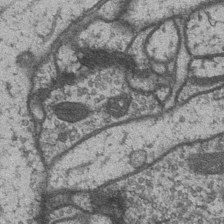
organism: Drosophila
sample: Optic medulla